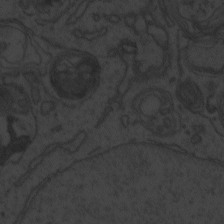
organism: Zebrafish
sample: Macrophage infected with Toxoplasma gondii